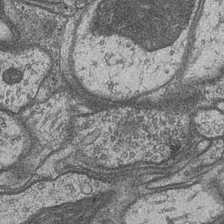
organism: Drosophila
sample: Optic medulla